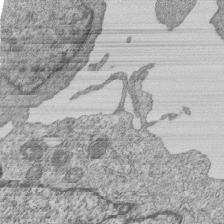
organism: Human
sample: MDA-MB-231 cells